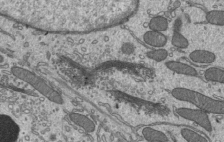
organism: Mouse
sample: Mouse epididymis efferent ductule cilia